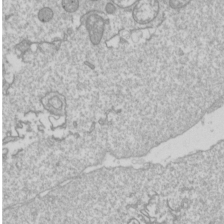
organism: Drosophila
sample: Cell division; meiosis; drosophila spermatocytes